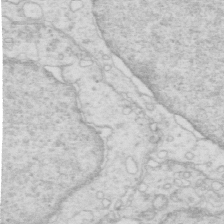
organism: Mouse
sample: Multiciliated cells